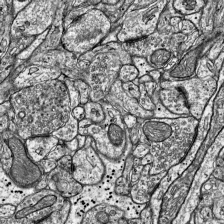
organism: Mouse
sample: Visual Cortex